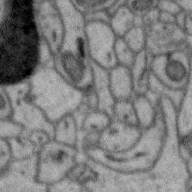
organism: Zebra finch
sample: Brain